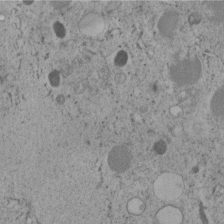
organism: C. elegans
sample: C. elegans embryo early stage